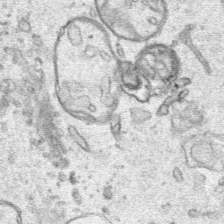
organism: Human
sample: Mitochondria in HCT116 cells